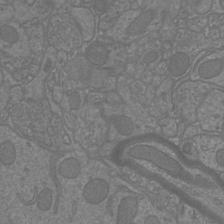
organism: Mouse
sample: Cortical neurons